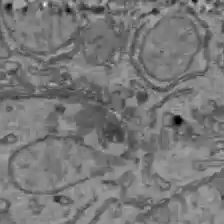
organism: C57BL Mouse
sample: Liver